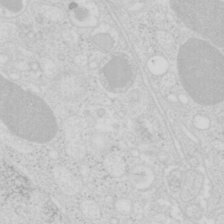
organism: Mouse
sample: Pancreas